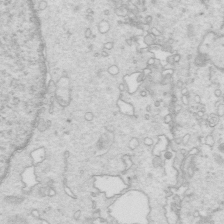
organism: Mouse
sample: Multiciliated cells